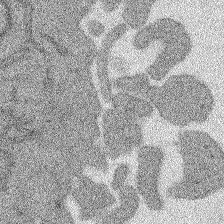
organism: Human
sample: HeLa cells